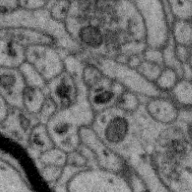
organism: Zebra finch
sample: Brain